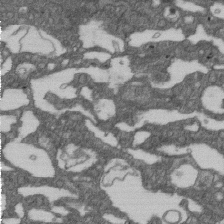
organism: Drosophila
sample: Nephrocyte